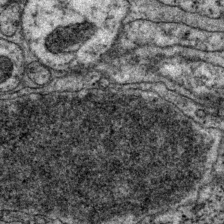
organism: P. pacificus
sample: Pharynx